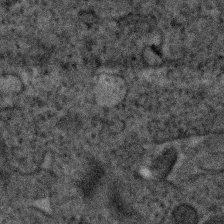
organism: Human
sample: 1205lu cells